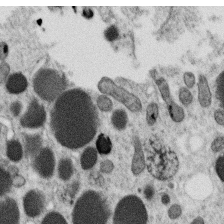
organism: C. elegans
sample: C. elegans oocyte; sperm cells